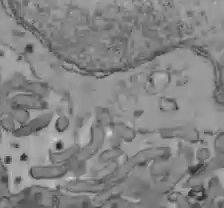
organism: C57BL Mouse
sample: Liver